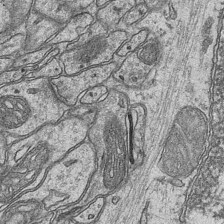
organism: Mouse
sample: CA1 Hippocampus